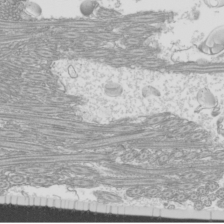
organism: Mouse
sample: Cilia; mouse epididymis